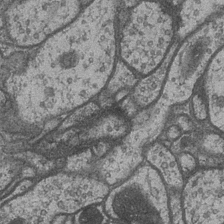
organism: Drosophila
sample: Optic medulla